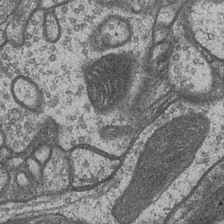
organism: Drosophila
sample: Optic medulla